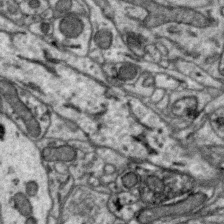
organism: Zebra finch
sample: Brain